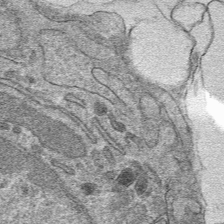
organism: Mouse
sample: Mouse hepatocytes